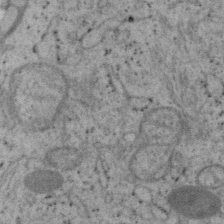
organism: Human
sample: HeLa cells